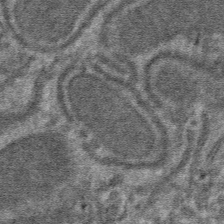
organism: Mouse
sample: Mouse hepatocytes